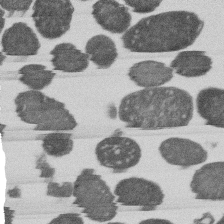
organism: E. coli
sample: Bacterial nucleoid